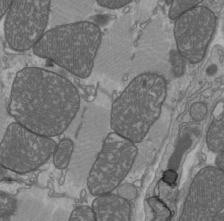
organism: C57BL Mouse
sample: Heart